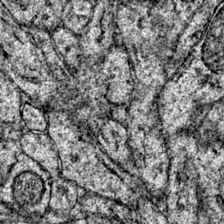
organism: Mouse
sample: Primary visual cortex